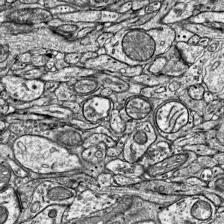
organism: Mouse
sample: Visual Cortex